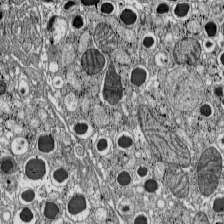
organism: C57BL Mouse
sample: Pancreatic islet